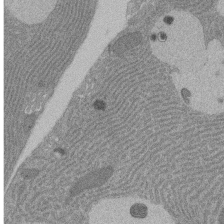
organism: Rat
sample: Salivary granule